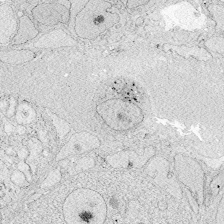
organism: Zebrafish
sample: Whole-Brain